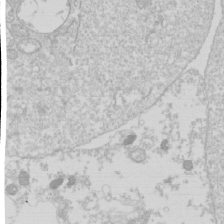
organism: Drosophila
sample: Cell division; meiosis; drosophila spermatocytes